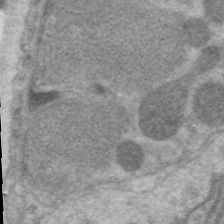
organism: C. elegans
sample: Pharynx